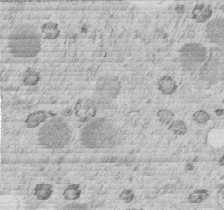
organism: C. elegans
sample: C. elegans embryo early stage